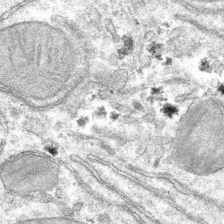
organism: Mouse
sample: Mouse hepatocytes